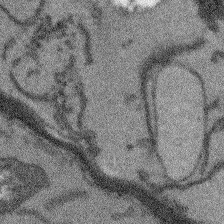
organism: Arabidopsis thaliana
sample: Root tip